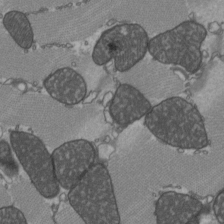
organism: C57BL Mouse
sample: Heart